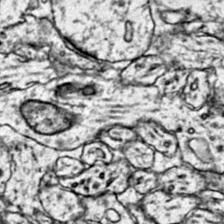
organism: Mouse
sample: Primary visual cortex